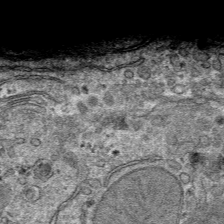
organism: Mouse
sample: Mouse hepatocytes